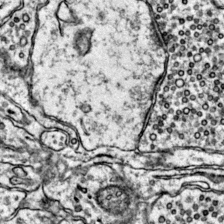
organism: Mouse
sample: Primary visual cortex